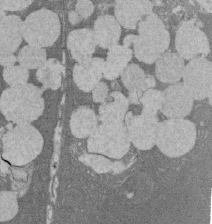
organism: Rat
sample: Salivary granule